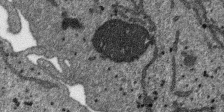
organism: Human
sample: Lung epithelial cells infected with SARS-CoV-2